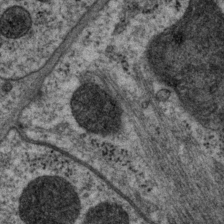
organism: P. pacificus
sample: Pharynx